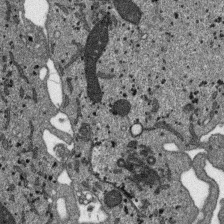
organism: Human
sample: Lung epithelial cells infected with SARS-CoV-2